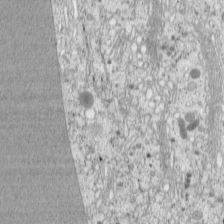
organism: African green monkey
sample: COS-7 cells